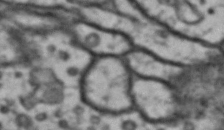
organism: Drosophila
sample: Brain